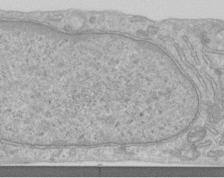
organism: Human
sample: Centriole in RPE cells